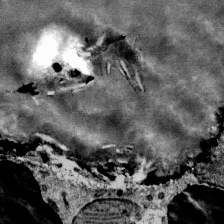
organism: Mouse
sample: Mouse Salivary gland